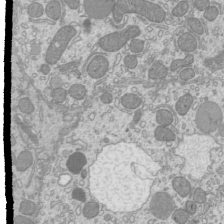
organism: Mouse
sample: Cilia; mouse epididymis